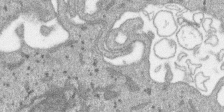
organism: Human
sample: Lung epithelial cells infected with SARS-CoV-2